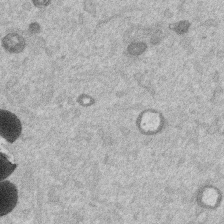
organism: Mouse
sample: Dividing mouse embryo 1 cell stage